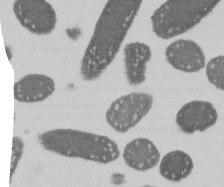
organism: E. coli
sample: Bacterial nucleoid